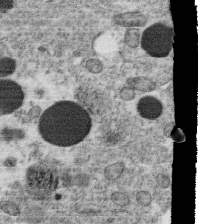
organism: C. elegans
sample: C. elegans oocyte; sperm cells